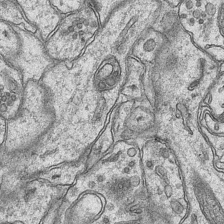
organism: Mouse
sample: CA1 Hippocampus